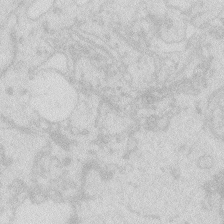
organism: Zebrafish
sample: Macrophage